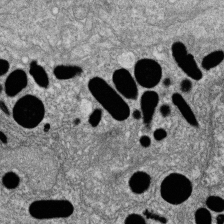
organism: Zebrafish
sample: Cilia; retinal pigment epithelium